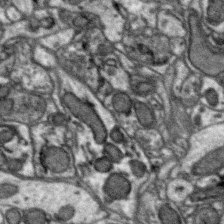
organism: Zebra finch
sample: Brain